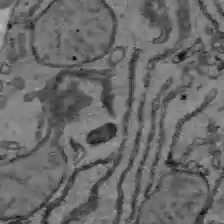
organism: C57BL Mouse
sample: Liver